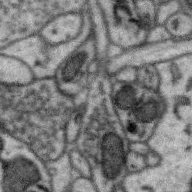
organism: Zebra finch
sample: Brain